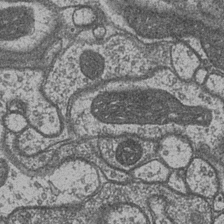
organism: Drosophila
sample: Optic medulla